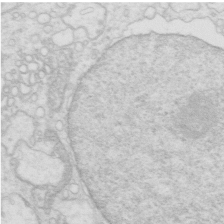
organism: Mouse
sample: Multiciliated cells